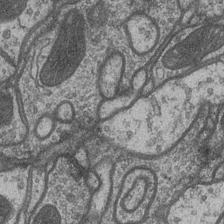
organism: Drosophila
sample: Optic medulla